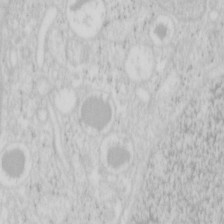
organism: Mouse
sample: Pancreas